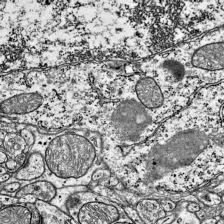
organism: Mouse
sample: Visual Cortex